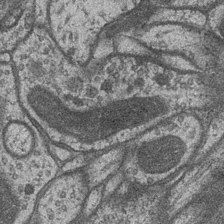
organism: Drosophila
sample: Optic medulla